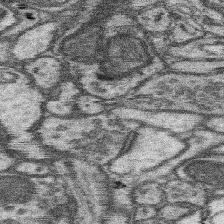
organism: Mouse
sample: Somatosensory cortex neuropil